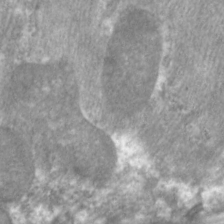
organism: C. elegans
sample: Pharynx